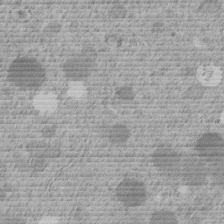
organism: C. elegans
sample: C. elegans embryo early stage